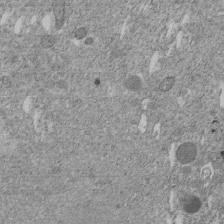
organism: C. elegans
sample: C. elegans embryo early stage